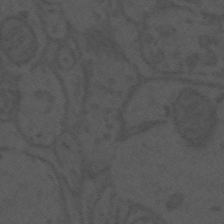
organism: Mouse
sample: Suprachiasmatic nucleus